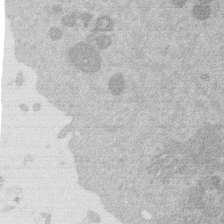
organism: Mouse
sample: Dividing mouse embryo 1 cell stage